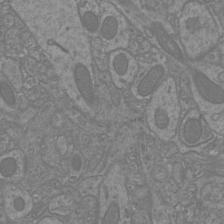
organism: Mouse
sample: Cortical neurons